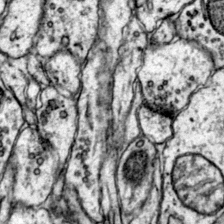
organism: Mouse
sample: Primary visual cortex